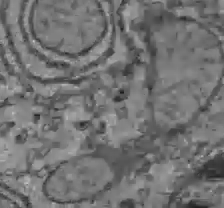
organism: C57BL Mouse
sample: Liver